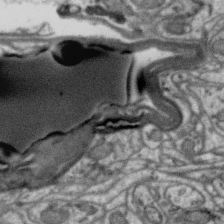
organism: Zebra finch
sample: Brain